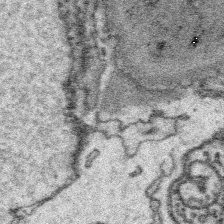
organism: Platynereis dumerilii